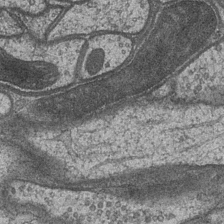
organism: Drosophila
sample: Optic medulla